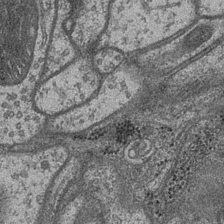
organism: Drosophila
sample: Optic medulla